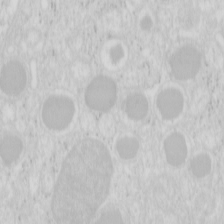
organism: Mouse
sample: Pancreas